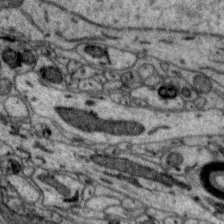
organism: Zebra finch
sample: Brain